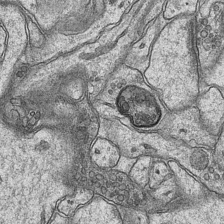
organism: Mouse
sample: CA1 Hippocampus